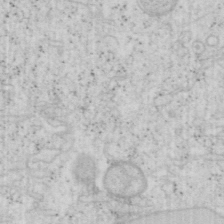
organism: Human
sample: HeLa cells